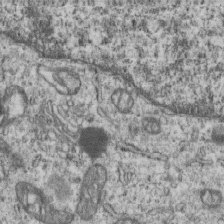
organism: Human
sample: MDA-MB-231 cells